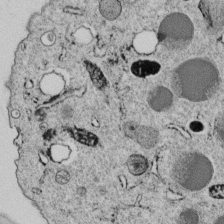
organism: C. elegans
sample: C. elegans embryo early stage